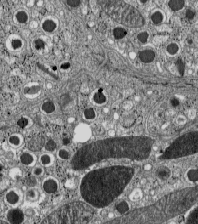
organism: C57BL Mouse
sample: Pancreatic islet